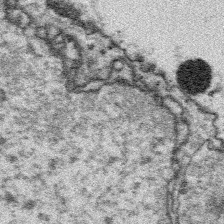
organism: Platynereis dumerilii